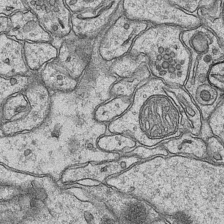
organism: Mouse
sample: CA1 Hippocampus